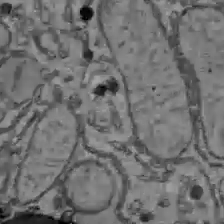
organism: C57BL Mouse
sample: Liver